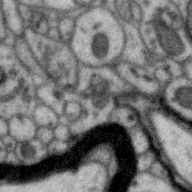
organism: Zebra finch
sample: Brain